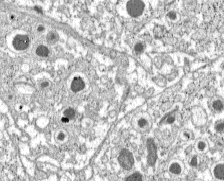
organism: C57BL Mouse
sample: Pancreatic islet